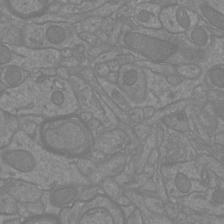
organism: Mouse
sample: Cortical neurons